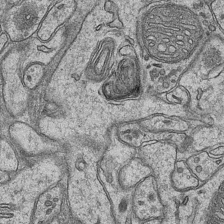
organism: Mouse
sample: CA1 Hippocampus